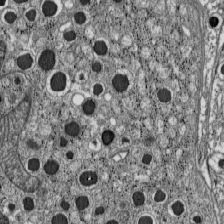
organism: C57BL Mouse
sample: Pancreatic islet